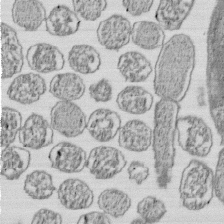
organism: E. coli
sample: Bacterial nucleoid